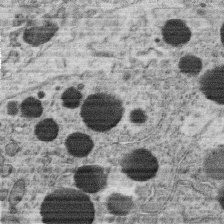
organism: C. elegans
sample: C. elegans oocyte; sperm cells